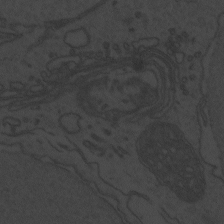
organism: Zebrafish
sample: Macrophage infected with Toxoplasma gondii